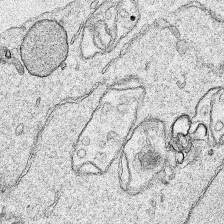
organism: Human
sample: Mitochondria in HCT116 cells